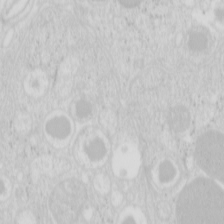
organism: Mouse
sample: Pancreas